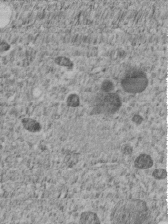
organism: C. elegans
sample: C. elegans embryo early stage